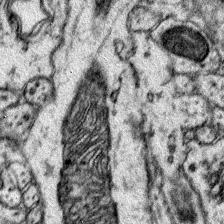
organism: Mouse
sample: Primary visual cortex